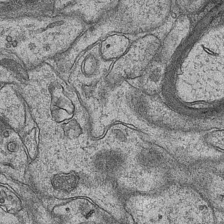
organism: Mouse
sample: CA1 Hippocampus